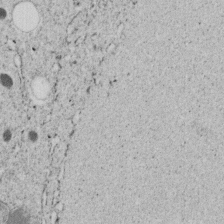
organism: C. elegans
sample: C. elegans embryo early stage